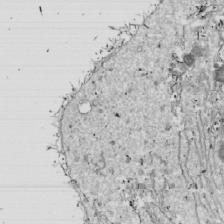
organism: Drosophila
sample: Cell division; meiosis; drosophila spermatocytes